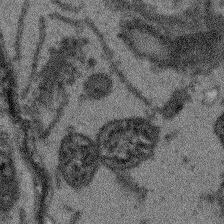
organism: Arabidopsis thaliana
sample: Root tip